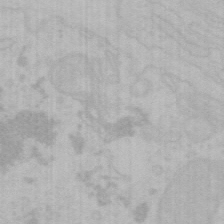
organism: Mouse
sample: Choroid plexus